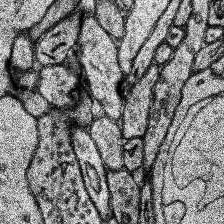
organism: Human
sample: Temporal Lobe